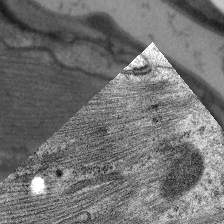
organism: C. elegans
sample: Pharynx